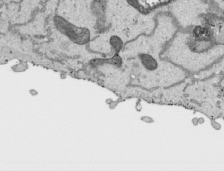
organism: Human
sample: Mitochondria in HCT116 cells